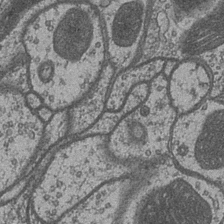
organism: Drosophila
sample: Optic medulla